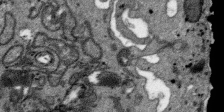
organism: Human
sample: Lung epithelial cells, uninfected (mock) control